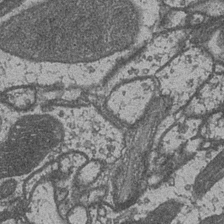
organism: Drosophila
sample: Optic medulla